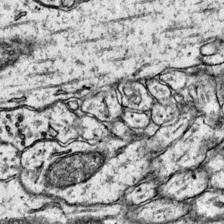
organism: Mouse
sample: Primary visual cortex